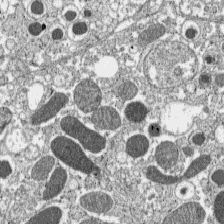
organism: C57BL Mouse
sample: Pancreatic islet